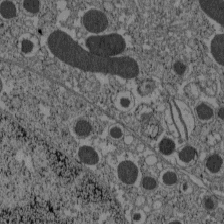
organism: C57BL Mouse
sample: Pancreatic islet